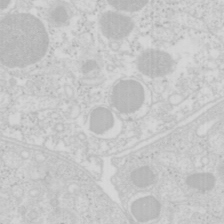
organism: Mouse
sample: Pancreas